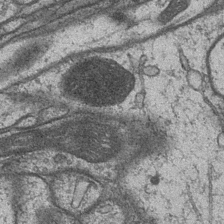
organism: Drosophila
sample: Optic medulla